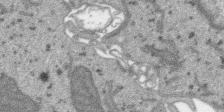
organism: Human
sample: Lung epithelial cells infected with SARS-CoV-2